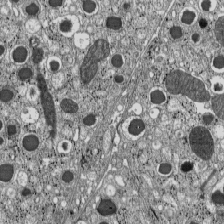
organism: C57BL Mouse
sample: Pancreatic islet